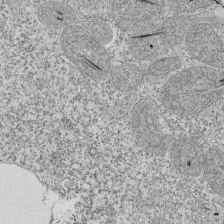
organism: Tetrahymena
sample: Cilia in tetrahymena